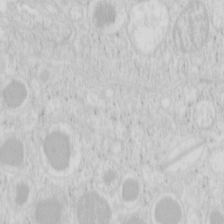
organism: Mouse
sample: Pancreas